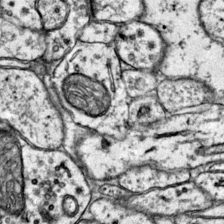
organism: Mouse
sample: Primary visual cortex